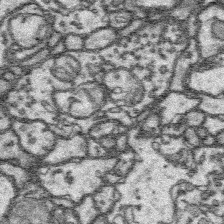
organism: Platynereis dumerilii